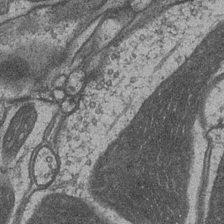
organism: Drosophila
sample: Optic medulla